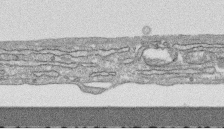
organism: Human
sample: CRL-1474